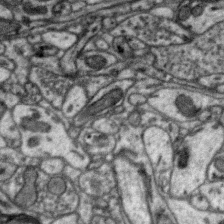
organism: Zebra finch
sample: Brain